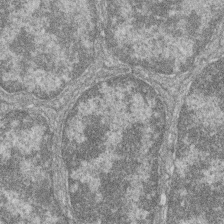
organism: Zebrafish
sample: Cilia; retinal pigment epithelium